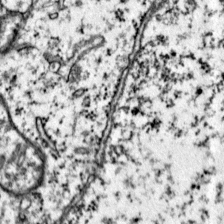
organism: Mouse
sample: Primary visual cortex